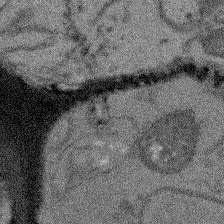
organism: Arabidopsis thaliana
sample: Root tip